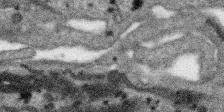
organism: Human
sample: Lung epithelial cells infected with SARS-CoV-2